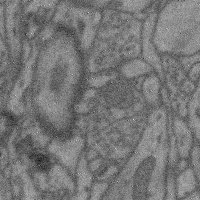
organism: Mouse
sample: Cerebral cortex